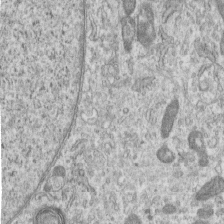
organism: Human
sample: Centriole in RPE cells